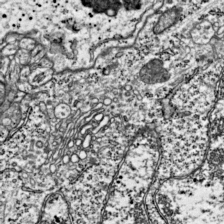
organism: Mouse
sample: Visual Cortex